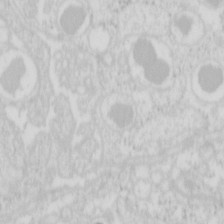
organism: Mouse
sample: Pancreas